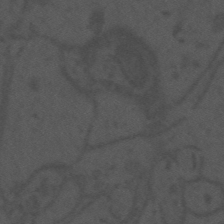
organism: Mouse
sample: Suprachiasmatic nucleus